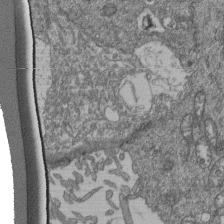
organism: Human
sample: Retinal organoid Rod and Cone cells